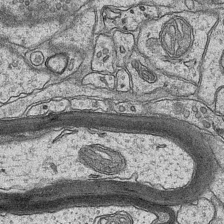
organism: Mouse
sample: CA1 Hippocampus